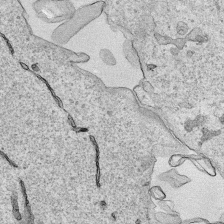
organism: Human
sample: Mitochondria in HCT116 cells